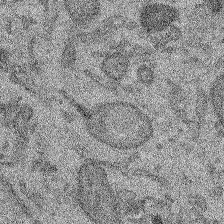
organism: Human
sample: HeLa cells